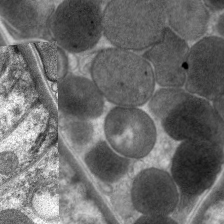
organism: C. elegans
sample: Pharynx